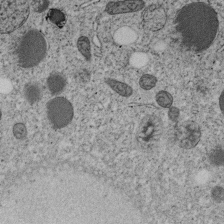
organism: C. elegans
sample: C. elegans embryo early stage